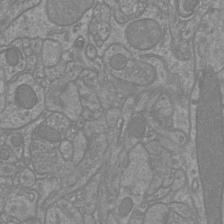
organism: Mouse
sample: Cortical neurons